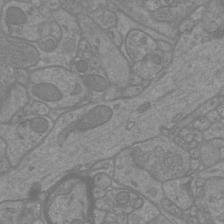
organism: Mouse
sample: Cortical neurons